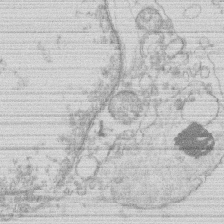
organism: Human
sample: Macrophage cells